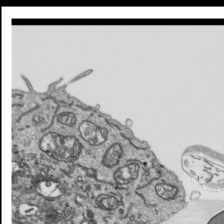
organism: Human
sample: Mitochondria in HCT116 cells